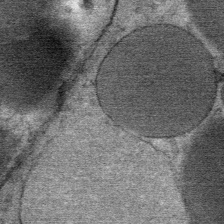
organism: Mouse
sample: Mouse Salivary gland